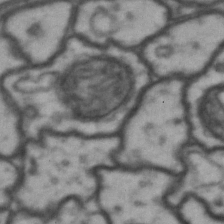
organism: Drosophila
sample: Brain